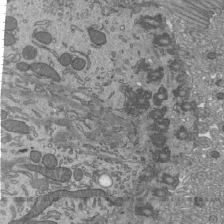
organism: Mouse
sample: Mouse epididymis efferent ductule cilia